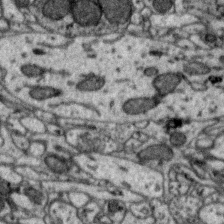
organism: Zebra finch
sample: Brain